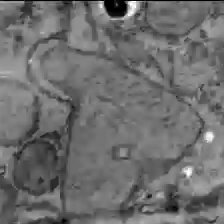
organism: C57BL Mouse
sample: Liver